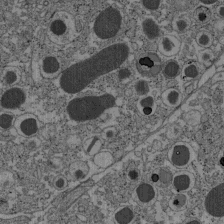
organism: C57BL Mouse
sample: Pancreatic islet